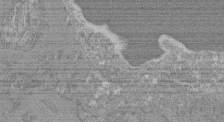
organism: Mouse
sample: Glomerulus